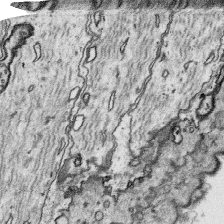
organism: Platynereis dumerilii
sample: Parapodia